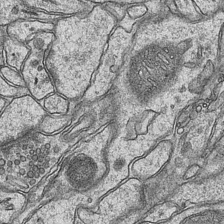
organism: Mouse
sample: CA1 Hippocampus